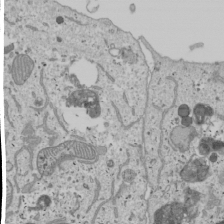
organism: Human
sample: Mitochondria in U2OS cells